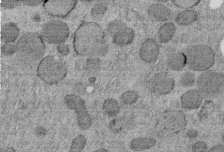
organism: C. elegans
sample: C. elegans embryo early stage